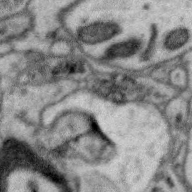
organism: Zebra finch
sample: Brain